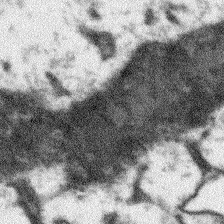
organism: Arabidopsis thaliana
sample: Root tip